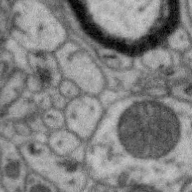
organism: Zebra finch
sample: Brain